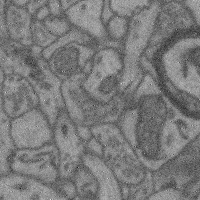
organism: Mouse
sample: Cerebral cortex